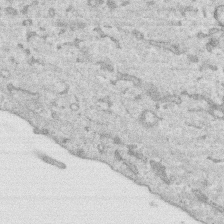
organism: Human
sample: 1205lu cells